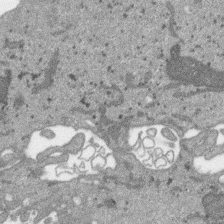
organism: Human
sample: Lung epithelial cells infected with SARS-CoV-2